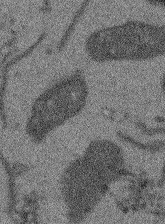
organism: Arabidopsis thaliana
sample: Root tip